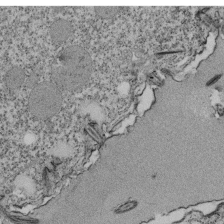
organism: Tetrahymena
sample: Cilia in tetrahymena